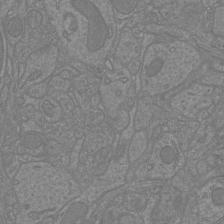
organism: Mouse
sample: Cortical neurons